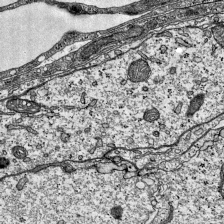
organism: Mouse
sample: Visual Cortex